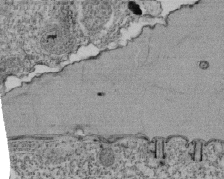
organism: Tetrahymena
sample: Cilia in tetrahymena